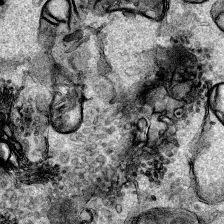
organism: Human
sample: Mitochondria in HCT116 cells